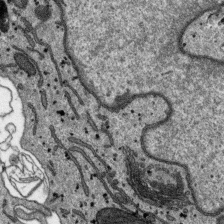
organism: Human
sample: Lung epithelial cells, uninfected (mock) control